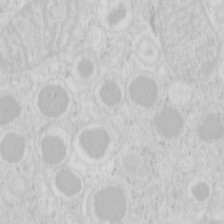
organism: Mouse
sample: Pancreas